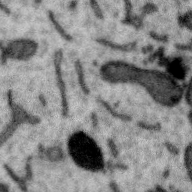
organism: Zebra finch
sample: Brain